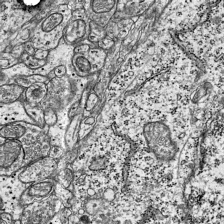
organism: Mouse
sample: Visual Cortex